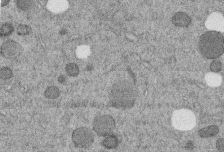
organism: C. elegans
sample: C. elegans embryo early stage